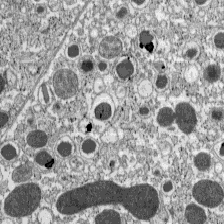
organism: C57BL Mouse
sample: Pancreatic islet